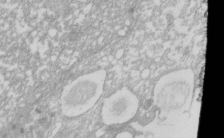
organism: Xenopus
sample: Cilia; centrioles in frog embryo cells